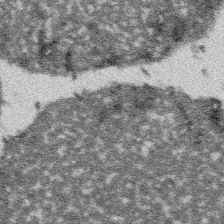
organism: Platynereis dumerilii